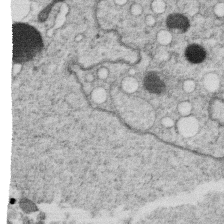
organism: C. elegans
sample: C. elegans oocyte; sperm cells